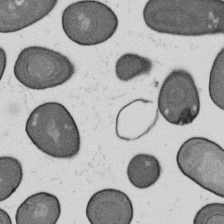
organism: B. subtilis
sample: Bacterial spore